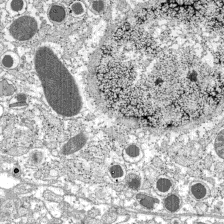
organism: C57BL Mouse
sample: Pancreatic islet